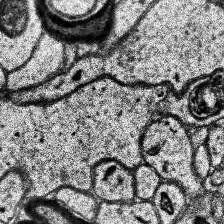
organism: Human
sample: Temporal Lobe